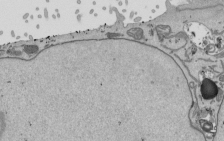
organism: Mouse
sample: ED-1 cell nuclei; centrioles